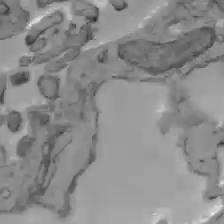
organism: C57BL Mouse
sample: Liver